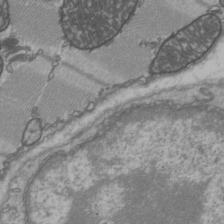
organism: C57BL Mouse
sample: Heart